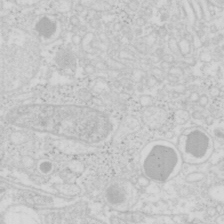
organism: Mouse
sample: Pancreas